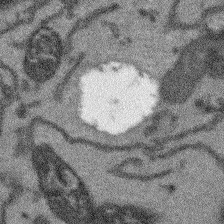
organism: Arabidopsis thaliana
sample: Root tip